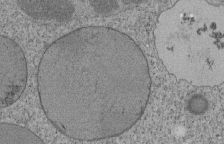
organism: Tetrahymena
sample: Cilia in tetrahymena